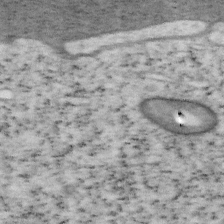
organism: Mouse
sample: OT-I killer T cells with ID8 ovarian cancer cells